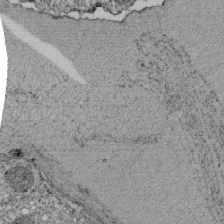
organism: Tetrahymena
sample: Cilia in tetrahymena